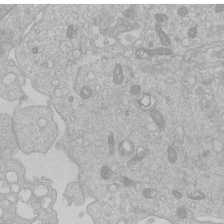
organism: Human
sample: Macrophage cells